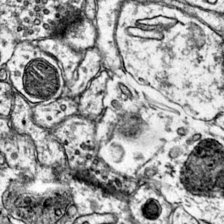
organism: Mouse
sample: Primary visual cortex